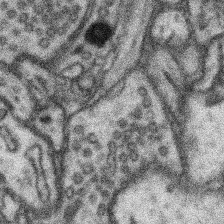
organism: Mouse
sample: Somatosensory cortex neuropil